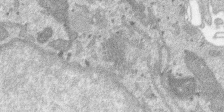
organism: Human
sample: Lung epithelial cells infected with SARS-CoV-2